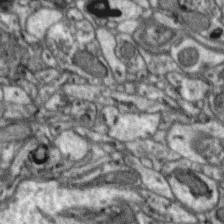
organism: Zebra finch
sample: Brain